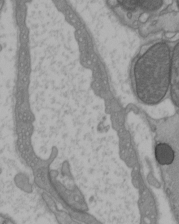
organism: C57BL Mouse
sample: Heart